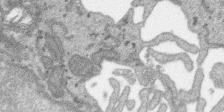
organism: Human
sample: Lung epithelial cells infected with SARS-CoV-2